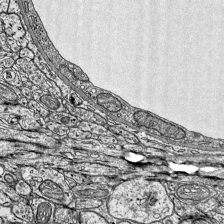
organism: Mouse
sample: Visual Cortex